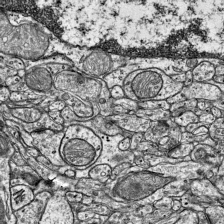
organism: Mouse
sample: Visual Cortex